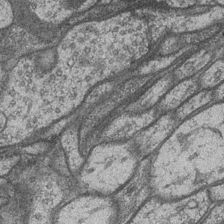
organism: Drosophila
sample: Optic medulla